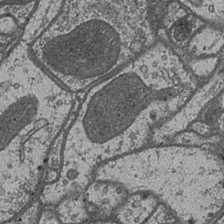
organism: Drosophila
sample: Optic medulla